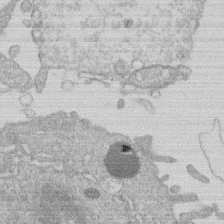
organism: Human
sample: Macrophage cells